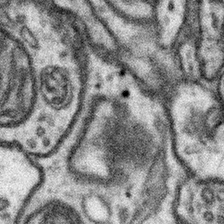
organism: Mouse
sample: Somatosensory cortex neuropil